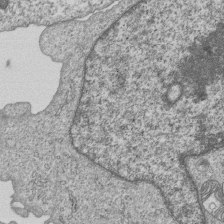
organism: Human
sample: MDA-MB-231 cells